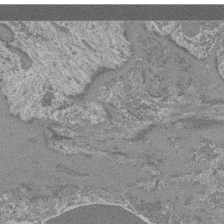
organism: Mouse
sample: Glomerulus